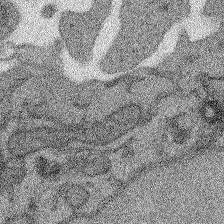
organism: Human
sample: HeLa cells